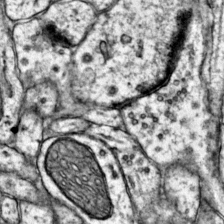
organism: Mouse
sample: Primary visual cortex